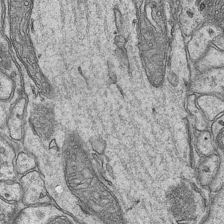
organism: Mouse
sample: CA1 Hippocampus